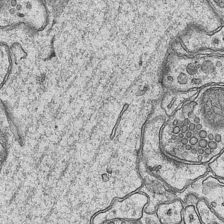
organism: Mouse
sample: CA1 Hippocampus